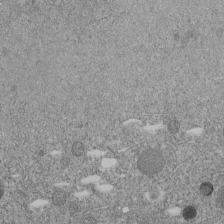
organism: C. elegans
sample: C. elegans embryo early stage